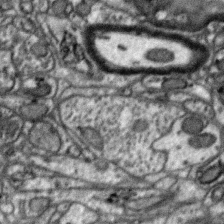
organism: Zebra finch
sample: Brain